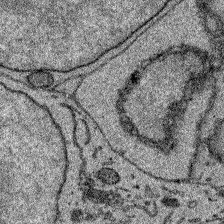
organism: Zebrafish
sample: Larval olfactory bulb